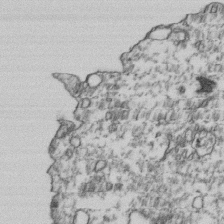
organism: Human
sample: Activated Jurkat CD4+ T cells